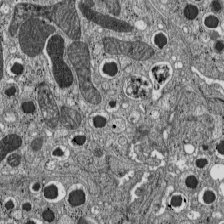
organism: C57BL Mouse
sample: Pancreatic islet